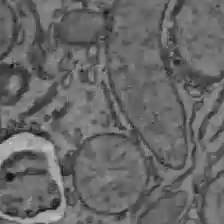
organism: C57BL Mouse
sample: Liver